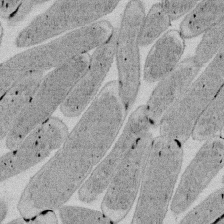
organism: E. coli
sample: Bacterial nucleoid